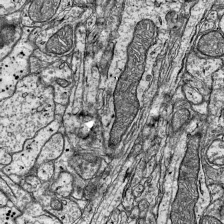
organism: Mouse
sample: Visual Cortex